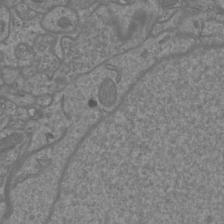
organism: Mouse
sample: Cortical neurons